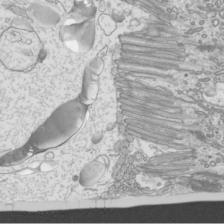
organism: Mouse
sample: Cilia; mouse epididymis